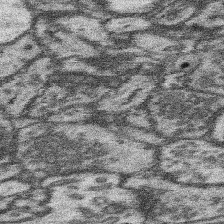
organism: Mouse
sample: Somatosensory cortex neuropil